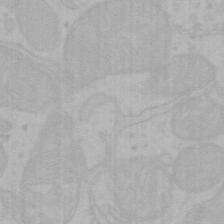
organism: Mouse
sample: Choroid plexus